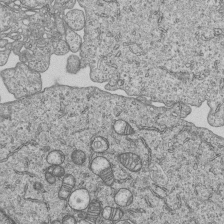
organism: Human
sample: MDA-MB-231 cells